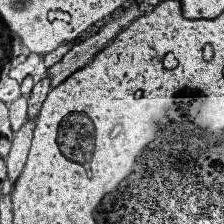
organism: Human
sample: Temporal Lobe